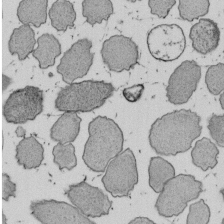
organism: E. coli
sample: Bacterial nucleoid